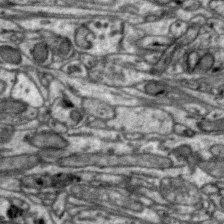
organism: Zebra finch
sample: Brain